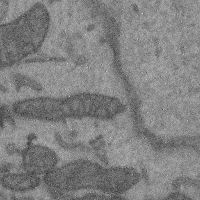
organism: Mouse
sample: Cerebral cortex